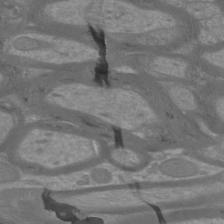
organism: Mouse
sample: Cortical neurons